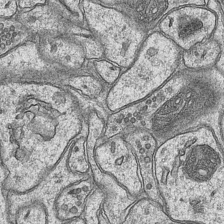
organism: Mouse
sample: CA1 Hippocampus